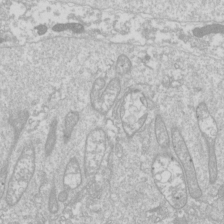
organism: Drosophila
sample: Cell division; meiosis; drosophila spermatocytes